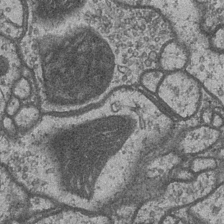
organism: Drosophila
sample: Optic medulla